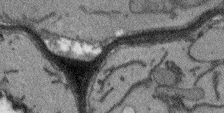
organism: Arabidopsis thaliana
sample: Root tip